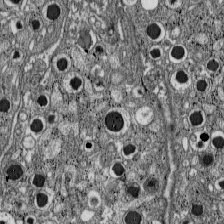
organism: C57BL Mouse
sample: Pancreatic islet